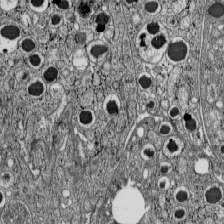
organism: C57BL Mouse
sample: Pancreatic islet